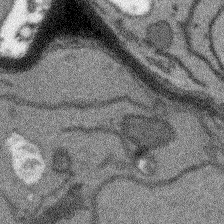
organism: Arabidopsis thaliana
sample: Root tip